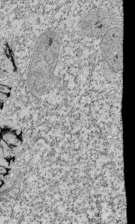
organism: Tetrahymena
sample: Cilia in tetrahymena